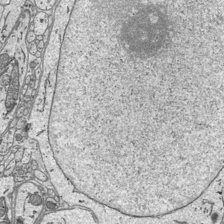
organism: Mouse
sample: Suprachiasmatic nucleus